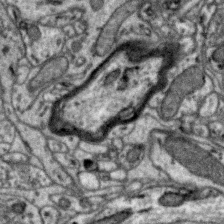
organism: Zebra finch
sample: Brain